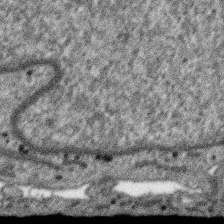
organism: Human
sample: Lung epithelial cells infected with SARS-CoV-2